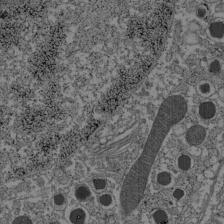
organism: C57BL Mouse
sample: Pancreatic islet